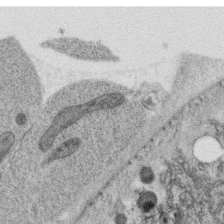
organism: C. elegans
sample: C. elegans oocyte; sperm cells